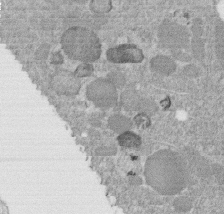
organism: C. elegans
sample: C. elegans embryo early stage